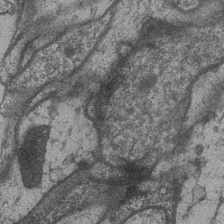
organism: Drosophila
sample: Optic medulla